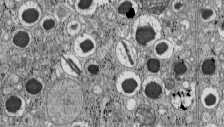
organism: C57BL Mouse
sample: Pancreatic islet